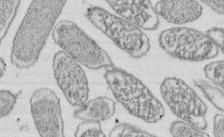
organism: E. coli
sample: Bacterial nucleoid